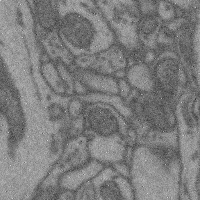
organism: Mouse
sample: Cerebral cortex